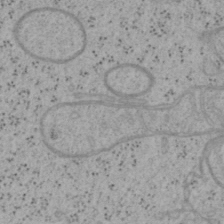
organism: Human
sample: HeLa cells